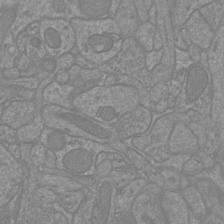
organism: Mouse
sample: Cortical neurons